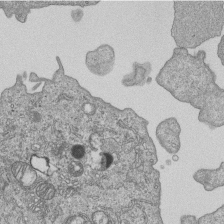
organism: Human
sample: MDA-MB-231 cells